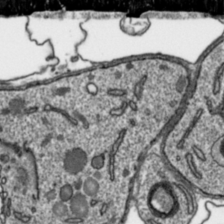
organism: Toxoplasma gondii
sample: Parasites in a vacuole inside a host cell